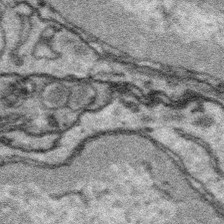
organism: Platynereis dumerilii